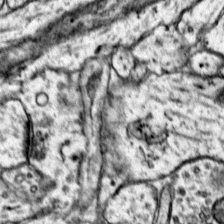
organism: Mouse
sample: Primary visual cortex